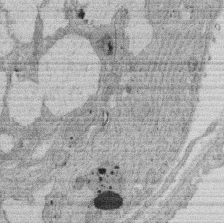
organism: Rat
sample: Salivary granule